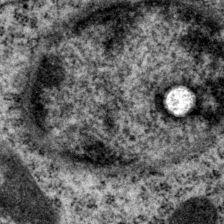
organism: P. pacificus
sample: Pharynx